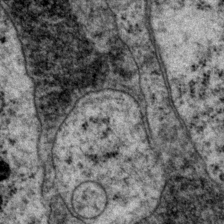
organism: P. pacificus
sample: Pharynx